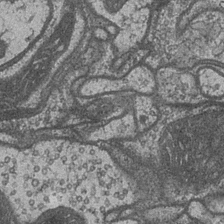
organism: Drosophila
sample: Optic medulla